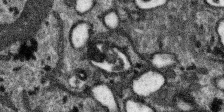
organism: Human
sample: Lung epithelial cells infected with SARS-CoV-2